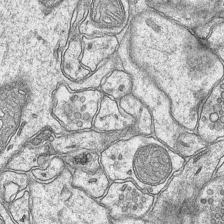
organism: Mouse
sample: CA1 Hippocampus